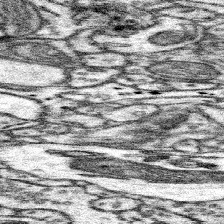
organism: Mouse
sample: Somatosensory cortex neuropil